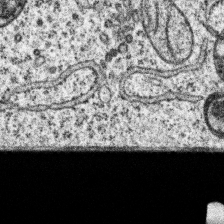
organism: Human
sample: HeLa cells